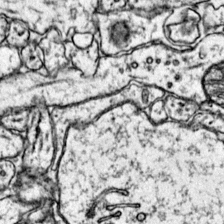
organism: Mouse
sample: Primary visual cortex